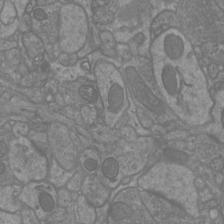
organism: Mouse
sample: Cortical neurons